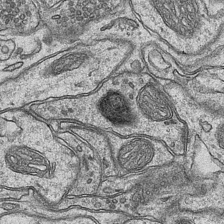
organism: Mouse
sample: CA1 Hippocampus